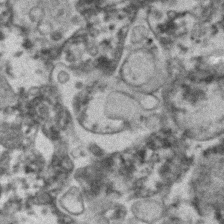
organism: Human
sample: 1205lu cells